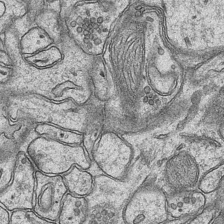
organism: Mouse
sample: CA1 Hippocampus